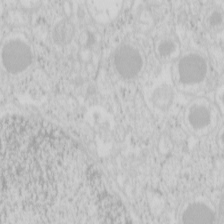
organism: Mouse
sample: Pancreas